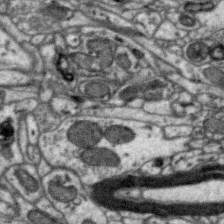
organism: Zebra finch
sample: Brain